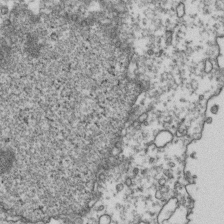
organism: Human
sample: Activated Jurkat CD4+ T cells